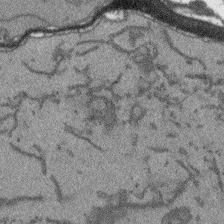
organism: Arabidopsis thaliana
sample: Root tip